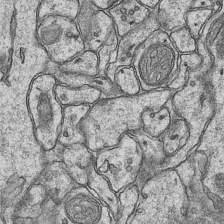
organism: Mouse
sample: CA1 Hippocampus